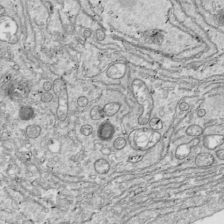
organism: Drosophila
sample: Cell division; meiosis; drosophila spermatocytes